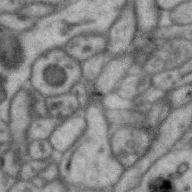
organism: Zebra finch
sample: Brain